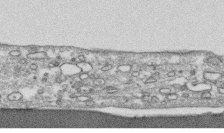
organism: Human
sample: CRL-1474